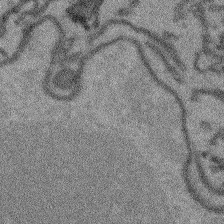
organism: Arabidopsis thaliana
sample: Root tip